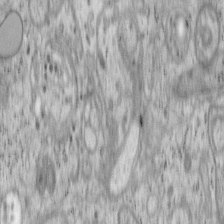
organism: Human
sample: HeLa cells